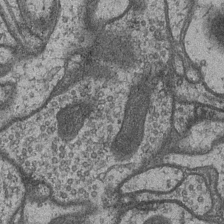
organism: Drosophila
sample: Optic medulla